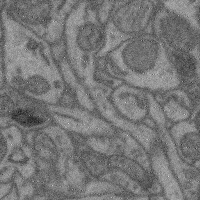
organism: Mouse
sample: Cerebral cortex